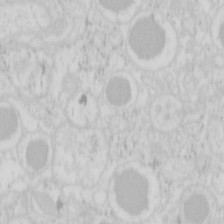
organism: Mouse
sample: Pancreas